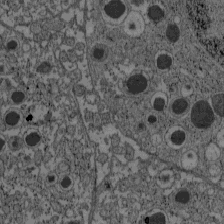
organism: C57BL Mouse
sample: Pancreatic islet